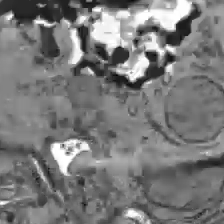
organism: C57BL Mouse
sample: Liver